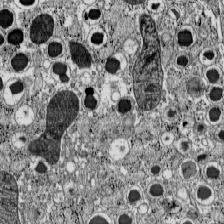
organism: C57BL Mouse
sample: Pancreatic islet